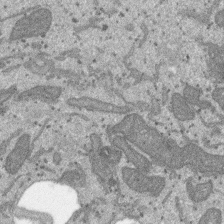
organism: Human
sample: Lung epithelial cells infected with SARS-CoV-2